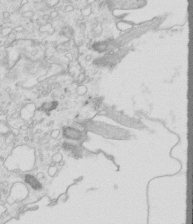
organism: Mouse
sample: Multiciliated cells